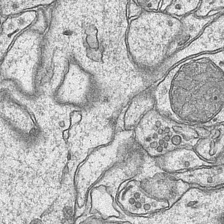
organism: Mouse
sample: CA1 Hippocampus